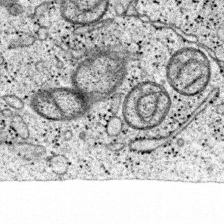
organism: Human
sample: HeLa cells